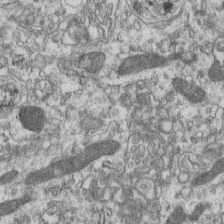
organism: Mouse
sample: Centriole in ependymal cells